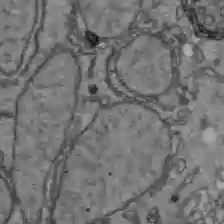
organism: C57BL Mouse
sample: Liver